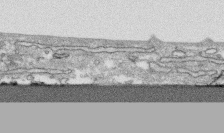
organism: Human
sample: CRL-1474